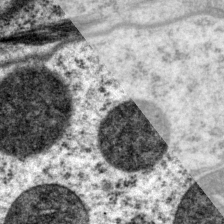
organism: P. pacificus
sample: Pharynx